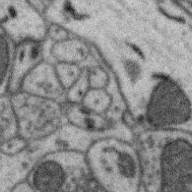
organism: Zebra finch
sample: Brain